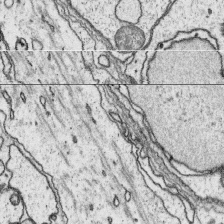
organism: Platynereis dumerilii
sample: Parapodia